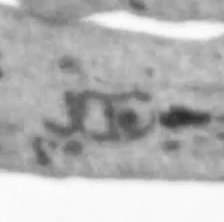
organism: Human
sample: SH-SY5Y cells